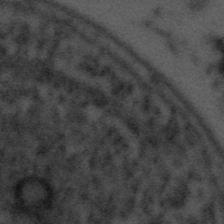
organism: Tuwongella immobilis